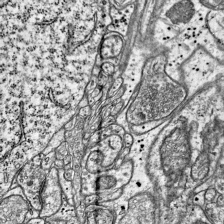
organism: Mouse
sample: Visual Cortex